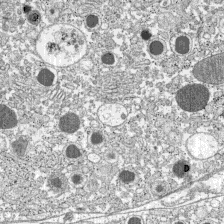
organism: C57BL Mouse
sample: Pancreatic islet